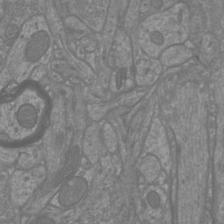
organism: Mouse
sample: Cortical neurons